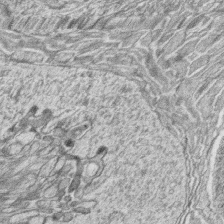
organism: Zebrafish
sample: synaptic ribbons in rod cells and cone cells